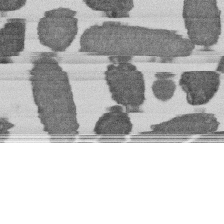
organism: E. coli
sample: Bacterial nucleoid